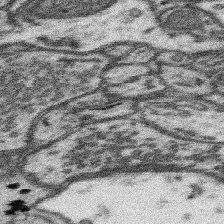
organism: Mouse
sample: Somatosensory cortex neuropil